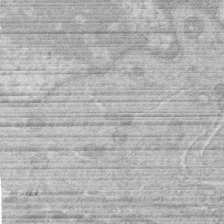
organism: Human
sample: Macrophage cells